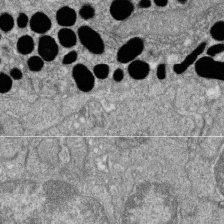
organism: Zebrafish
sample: Cilia; retinal pigment epithelium